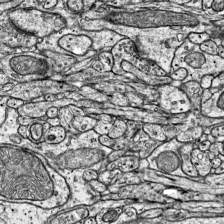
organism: Mouse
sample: Visual Cortex